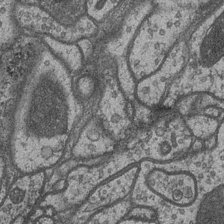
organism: Drosophila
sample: Optic medulla